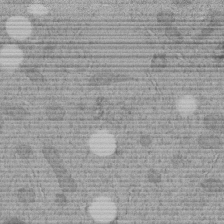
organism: C. elegans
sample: C. elegans embryo early stage